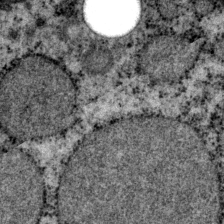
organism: P. pacificus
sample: Pharynx